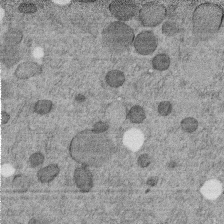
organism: C. elegans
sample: C. elegans embryo early stage